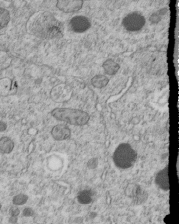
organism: C. elegans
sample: C. elegans embryo early stage